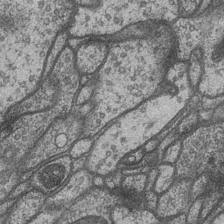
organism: Drosophila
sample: Optic medulla